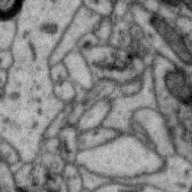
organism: Zebra finch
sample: Brain